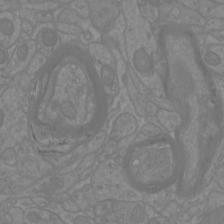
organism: Mouse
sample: Cortical neurons